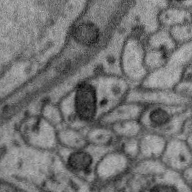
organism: Zebra finch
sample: Brain